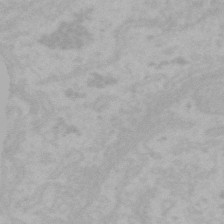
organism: Mouse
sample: Choroid plexus